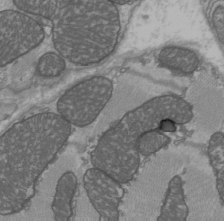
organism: C57BL Mouse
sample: Heart